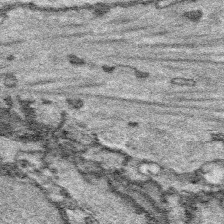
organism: Platynereis dumerilii